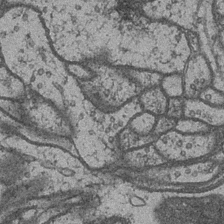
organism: Drosophila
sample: Optic medulla